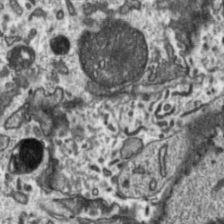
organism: Toxoplasma gondii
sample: Parasites in a vacuole inside a host cell